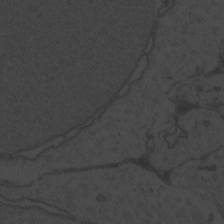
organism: Zebrafish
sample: Macrophage infected with Toxoplasma gondii